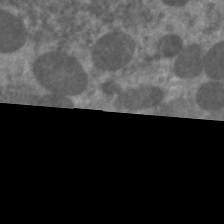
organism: C. elegans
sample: Pharynx